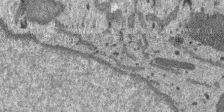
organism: Human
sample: Lung epithelial cells infected with SARS-CoV-2